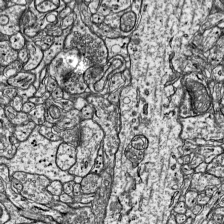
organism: Mouse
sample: Visual Cortex